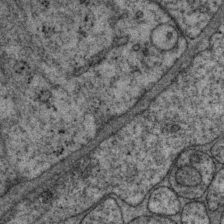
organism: P. pacificus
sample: Pharynx